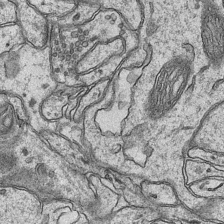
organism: Mouse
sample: CA1 Hippocampus